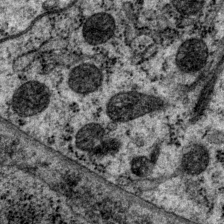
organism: P. pacificus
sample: Pharynx